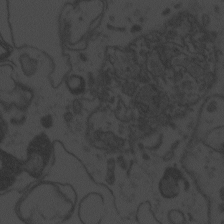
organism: Zebrafish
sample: Macrophage infected with Toxoplasma gondii